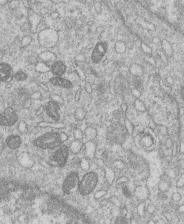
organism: Human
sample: Macrophage cells